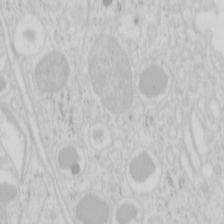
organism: Mouse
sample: Pancreas